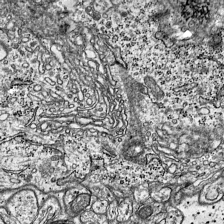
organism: Mouse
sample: Visual Cortex